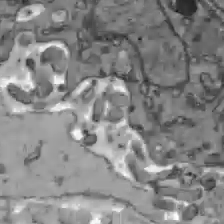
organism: C57BL Mouse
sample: Liver